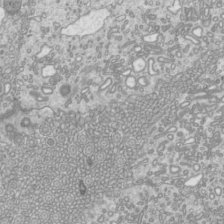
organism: Mouse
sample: Cilia; mouse epididymis